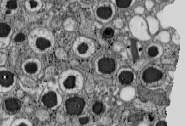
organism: C57BL Mouse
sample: Pancreatic islet